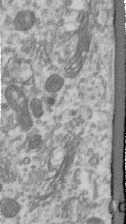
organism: Human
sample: Centriole in RPE cells